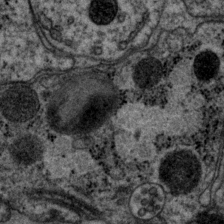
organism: P. pacificus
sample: Pharynx